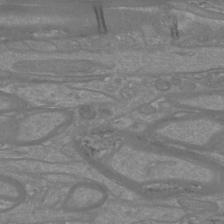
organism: Mouse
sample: Cortical neurons